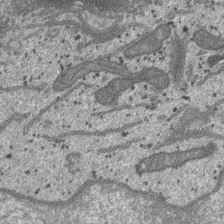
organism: Human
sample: Lung epithelial cells infected with SARS-CoV-2